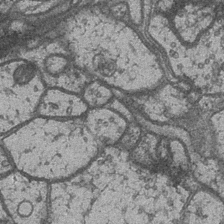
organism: Drosophila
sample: Optic medulla